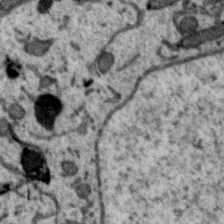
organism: Zebra finch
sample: Brain